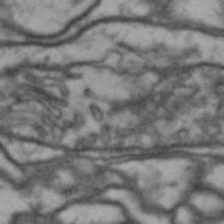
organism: Drosophila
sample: Brain